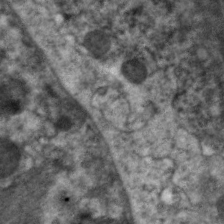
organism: C. elegans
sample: Pharynx